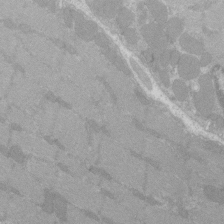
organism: C57BL Mouse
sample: Tibialis anterior muscle cell